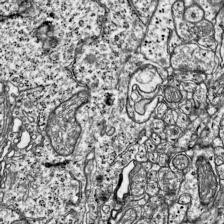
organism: Mouse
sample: Visual Cortex